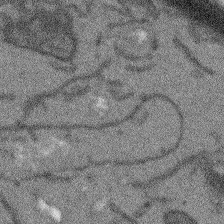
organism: Arabidopsis thaliana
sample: Root tip